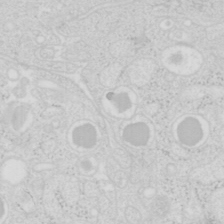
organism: Mouse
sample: Pancreas